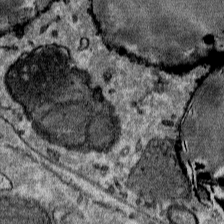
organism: Mouse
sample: Mouse Salivary gland